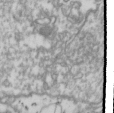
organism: Drosophila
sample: Cell division; meiosis; drosophila spermatocytes